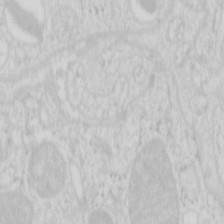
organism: Mouse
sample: Pancreas